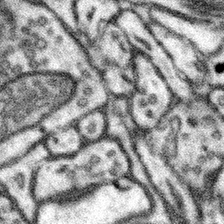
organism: Mouse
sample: Somatosensory cortex neuropil